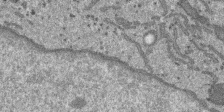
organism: Human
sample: Lung epithelial cells infected with SARS-CoV-2